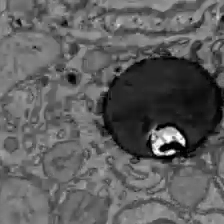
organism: C57BL Mouse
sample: Liver